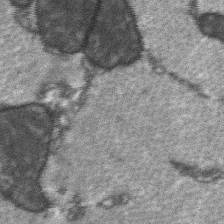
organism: C57BL Mouse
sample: Soleus